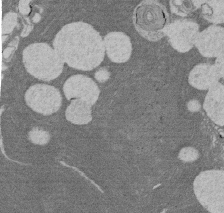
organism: Rat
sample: Salivary granule